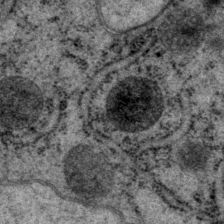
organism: P. pacificus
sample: Pharynx